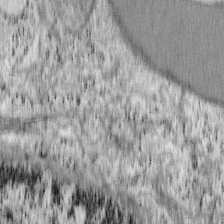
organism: Human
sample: HeLa cells